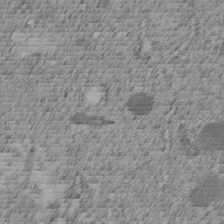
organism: C. elegans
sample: C. elegans embryo early stage